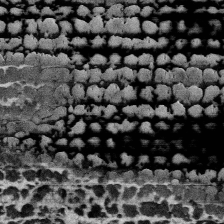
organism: Human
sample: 1205lu cells